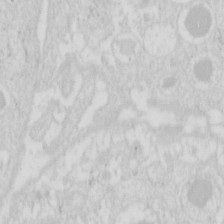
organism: Mouse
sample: Pancreas